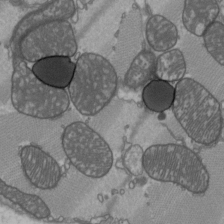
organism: C57BL Mouse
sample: Heart